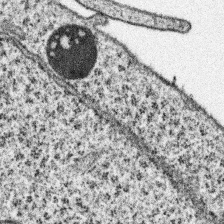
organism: Human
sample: HeLa cells